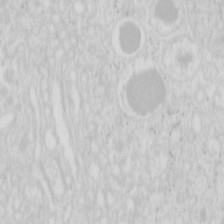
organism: Mouse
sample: Pancreas